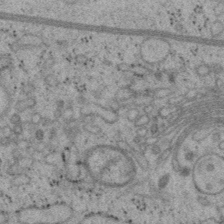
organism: Human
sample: HeLa cells